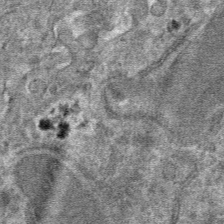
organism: Mouse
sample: Mouse hepatocytes